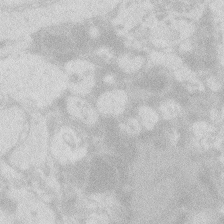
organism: Zebrafish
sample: Macrophage